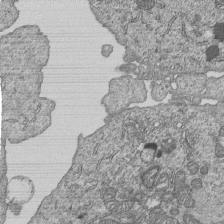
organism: Human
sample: MDA-MB-231 cells